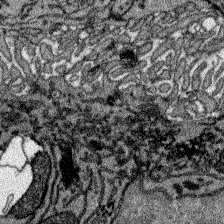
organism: Zebrafish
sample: Larval olfactory bulb